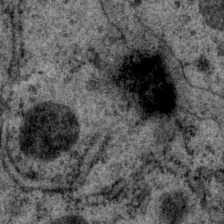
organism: P. pacificus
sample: Pharynx